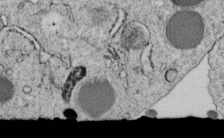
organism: C. elegans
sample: C. elegans embryo early stage